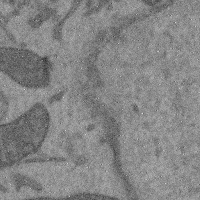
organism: Mouse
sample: Cerebral cortex